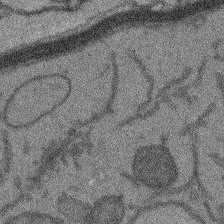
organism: Arabidopsis thaliana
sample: Root tip